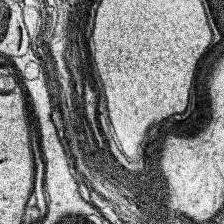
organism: Human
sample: Temporal Lobe